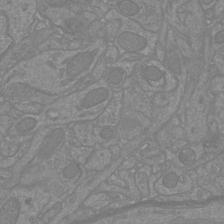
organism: Mouse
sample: Cortical neurons